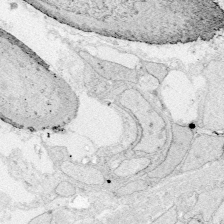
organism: Zebrafish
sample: Whole-Brain